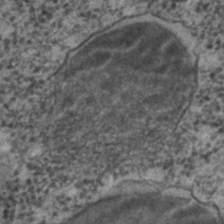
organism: C. elegans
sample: C. elegans embryo